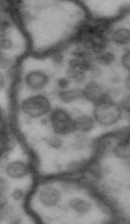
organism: Drosophila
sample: Brain